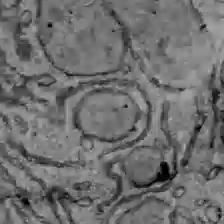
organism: C57BL Mouse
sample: Liver